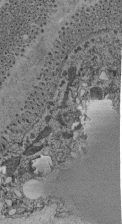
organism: C. elegans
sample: C. elegans pharynx